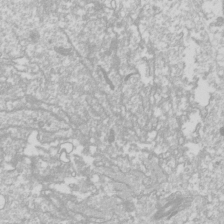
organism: Drosophila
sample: Cell division; meiosis; drosophila spermatocytes